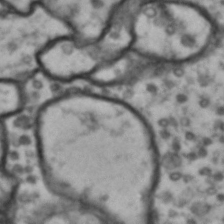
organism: Drosophila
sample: Brain